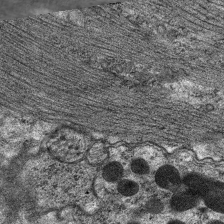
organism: C. elegans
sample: Pharynx